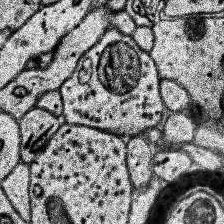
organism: Human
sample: Temporal Lobe